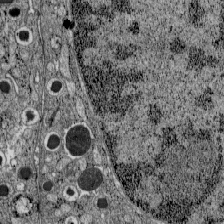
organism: C57BL Mouse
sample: Pancreatic islet